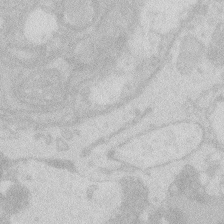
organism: Zebrafish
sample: Macrophage